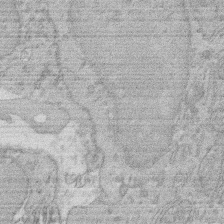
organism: Rat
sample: Salivary granule